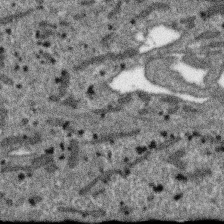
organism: Human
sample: Lung epithelial cells infected with SARS-CoV-2